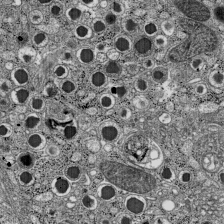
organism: C57BL Mouse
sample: Pancreatic islet